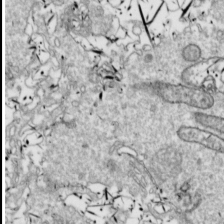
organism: Drosophila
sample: Cell division; meiosis; drosophila spermatocytes